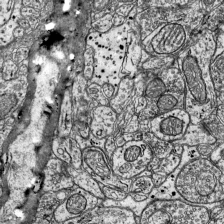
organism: Mouse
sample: Visual Cortex